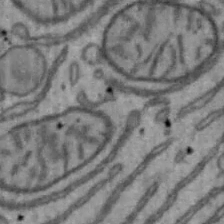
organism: Mouse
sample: Liver